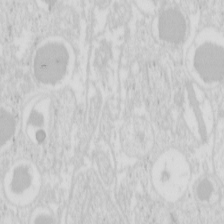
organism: Mouse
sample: Pancreas